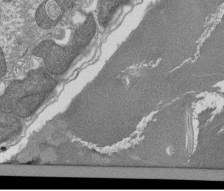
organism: Tetrahymena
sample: Cilia in tetrahymena